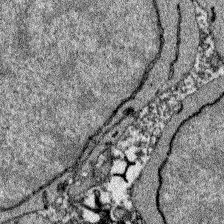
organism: Zebrafish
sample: Larval olfactory bulb